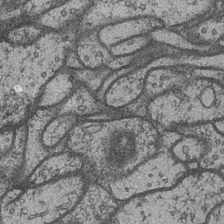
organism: Drosophila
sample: Optic medulla